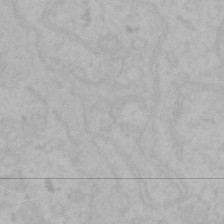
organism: Mouse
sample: Choroid plexus